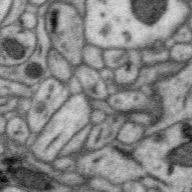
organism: Zebra finch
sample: Brain